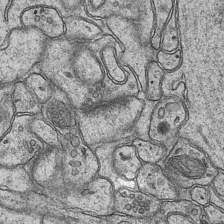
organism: Mouse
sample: CA1 Hippocampus